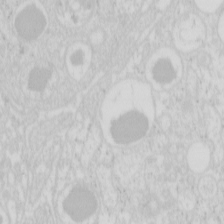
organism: Mouse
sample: Pancreas